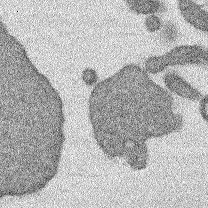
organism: Human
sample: HeLa cells